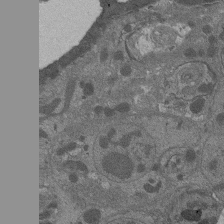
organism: Drosophila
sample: Antenna